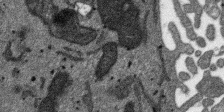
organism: Human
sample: Lung epithelial cells infected with SARS-CoV-2